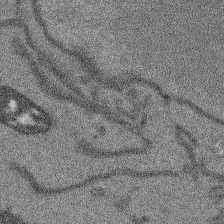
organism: Arabidopsis thaliana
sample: Root tip